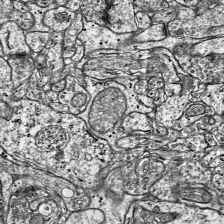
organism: Mouse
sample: Visual Cortex